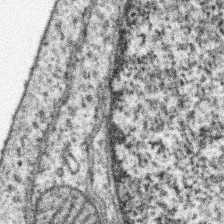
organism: Human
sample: HeLa cells